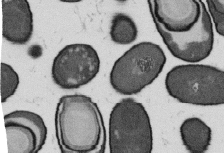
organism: B. subtilis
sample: Bacterial spore